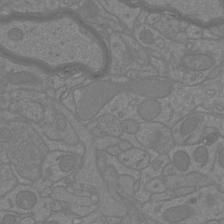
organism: Mouse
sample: Cortical neurons